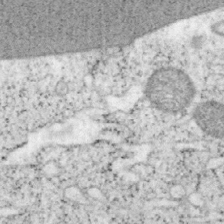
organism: Mouse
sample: OT-I killer T cells with ID8 ovarian cancer cells